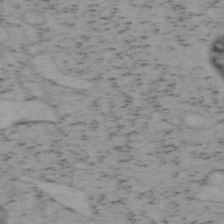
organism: Mouse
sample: OT-I killer T cells with ID8 ovarian cancer cells